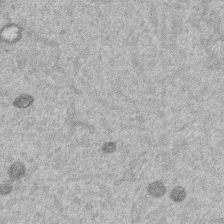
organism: Mouse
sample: Dividing mouse embryo 1 cell stage